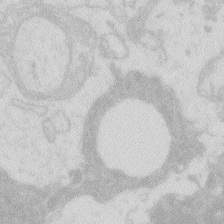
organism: Zebrafish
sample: Macrophage